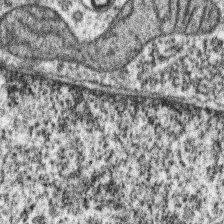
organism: Human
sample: HeLa cells